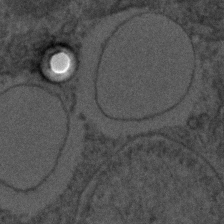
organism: C. elegans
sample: C. elegans embryo